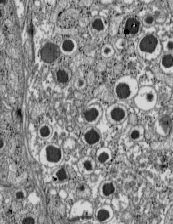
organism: C57BL Mouse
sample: Pancreatic islet